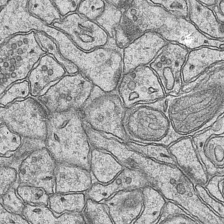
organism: Mouse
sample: CA1 Hippocampus